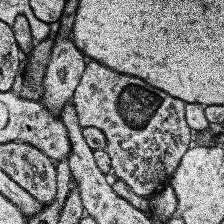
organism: Human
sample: Temporal Lobe